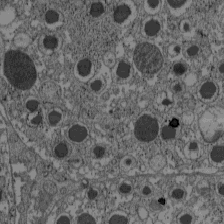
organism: C57BL Mouse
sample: Pancreatic islet